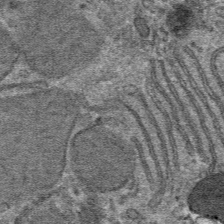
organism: Mouse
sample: Mouse hepatocytes